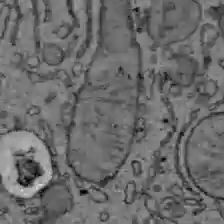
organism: C57BL Mouse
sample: Liver